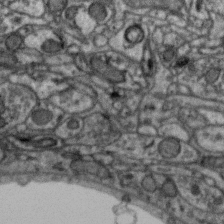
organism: Zebra finch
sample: Brain